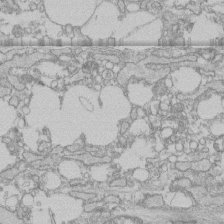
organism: Human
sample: CRL-1474